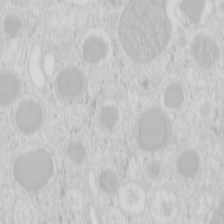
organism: Mouse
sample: Pancreas